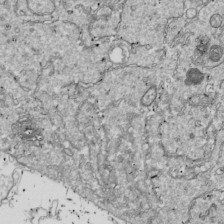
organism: Drosophila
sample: Cell division; meiosis; drosophila spermatocytes